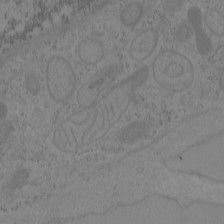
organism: Human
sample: HeLa cells